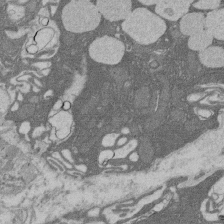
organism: Rat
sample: Salivary granule